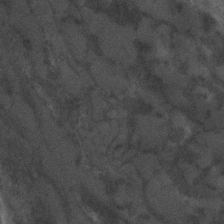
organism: C. elegans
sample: C. elegans embryo